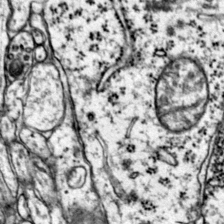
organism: Mouse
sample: Primary visual cortex